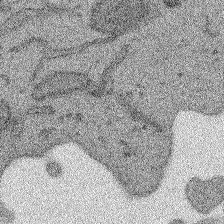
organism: Human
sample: HeLa cells